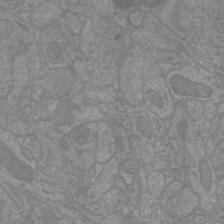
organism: Mouse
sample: Cortical neurons